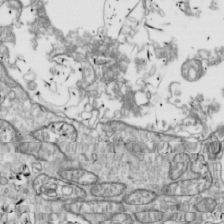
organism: Drosophila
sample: Cell division; meiosis; drosophila spermatocytes